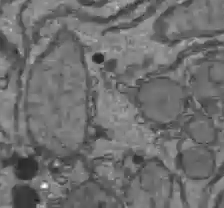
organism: C57BL Mouse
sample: Liver